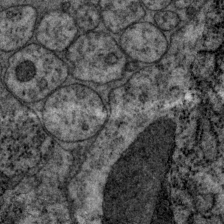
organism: P. pacificus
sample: Pharynx